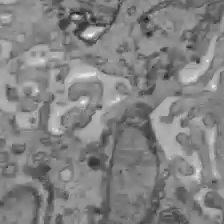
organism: C57BL Mouse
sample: Liver